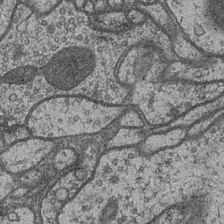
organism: Drosophila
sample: Optic medulla